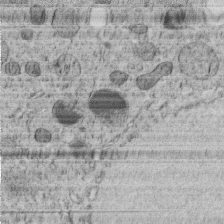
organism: C. elegans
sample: C. elegans embryo early stage